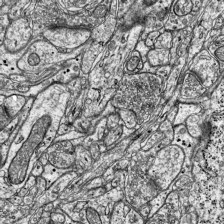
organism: Mouse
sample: Visual Cortex